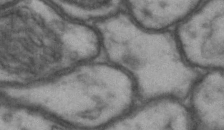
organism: Drosophila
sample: Brain